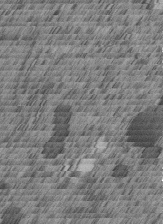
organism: C. elegans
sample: C. elegans embryo early stage